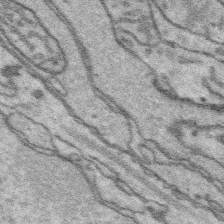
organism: Platynereis dumerilii